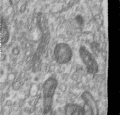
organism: Human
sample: Centriole in RPE cells